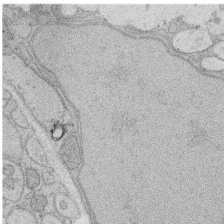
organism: Rat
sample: Salivary granule